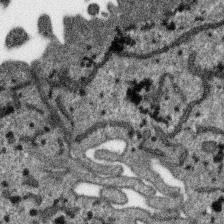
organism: Human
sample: Lung epithelial cells infected with SARS-CoV-2